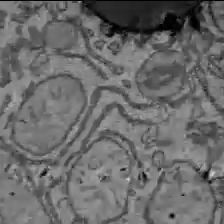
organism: C57BL Mouse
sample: Liver